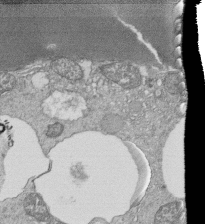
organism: Tetrahymena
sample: Cilia in tetrahymena